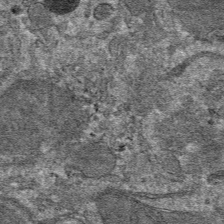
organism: Mouse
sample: Mouse hepatocytes